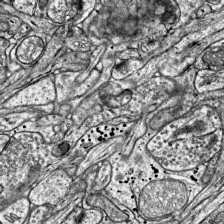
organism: Mouse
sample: Visual Cortex